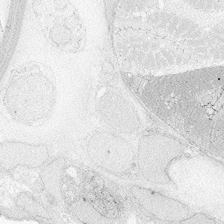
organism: Zebrafish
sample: Whole-Brain